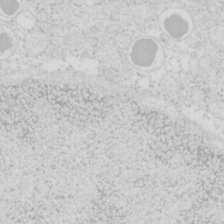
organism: Mouse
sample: Pancreas